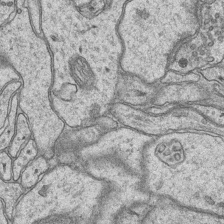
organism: Mouse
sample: CA1 Hippocampus